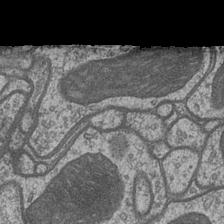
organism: Drosophila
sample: Optic medulla